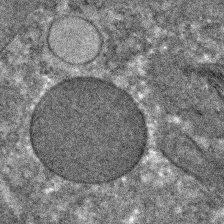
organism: C. elegans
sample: C. elegans embryo